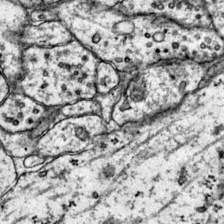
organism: Mouse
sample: Primary visual cortex